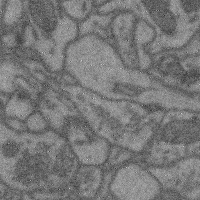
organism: Mouse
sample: Cerebral cortex